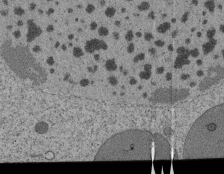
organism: Tetrahymena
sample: Cilia in tetrahymena